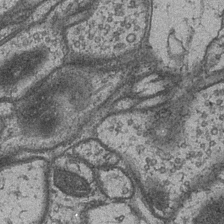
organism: Drosophila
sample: Optic medulla